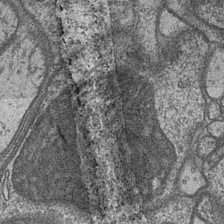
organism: Drosophila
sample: Optic medulla